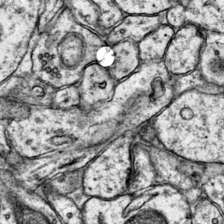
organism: Mouse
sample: Primary visual cortex